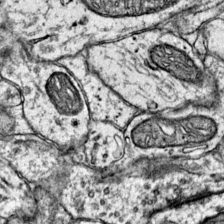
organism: Mouse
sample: Primary visual cortex